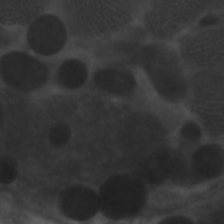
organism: C. elegans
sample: Pharynx